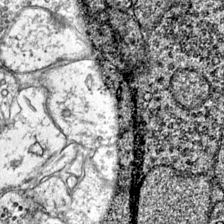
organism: Mouse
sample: Primary visual cortex